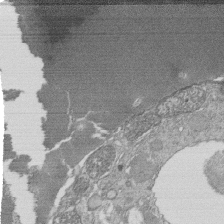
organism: Tetrahymena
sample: Cilia in tetrahymena